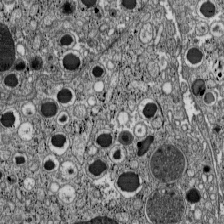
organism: C57BL Mouse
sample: Pancreatic islet